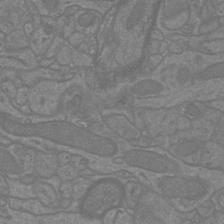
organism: Mouse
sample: Cortical neurons